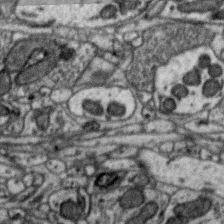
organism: Zebra finch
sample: Brain